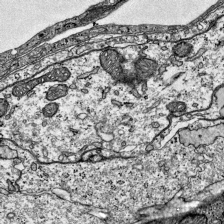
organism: Mouse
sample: Visual Cortex